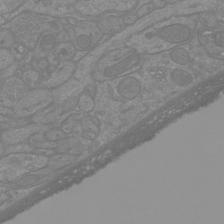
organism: Mouse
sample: Cortical neurons